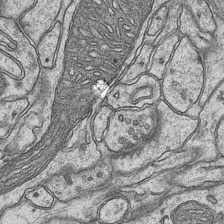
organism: Mouse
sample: CA1 Hippocampus